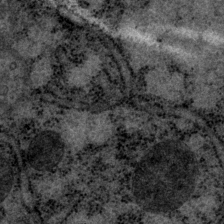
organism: P. pacificus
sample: Pharynx